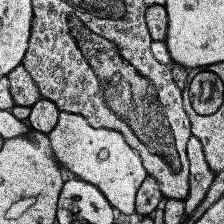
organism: Human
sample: Temporal Lobe